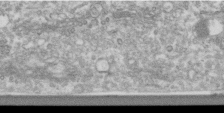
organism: Human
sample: Centriole in RPE cells